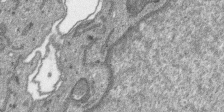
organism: Human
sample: Lung epithelial cells infected with SARS-CoV-2